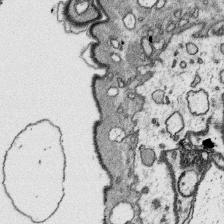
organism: Platynereis dumerilii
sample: Parapodia